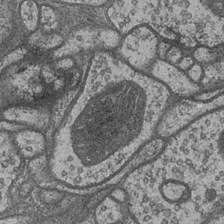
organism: Drosophila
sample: Optic medulla